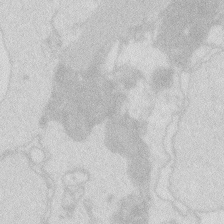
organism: Zebrafish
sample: Macrophage